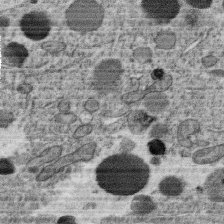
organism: C. elegans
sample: C. elegans oocyte; sperm cells